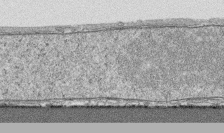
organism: Human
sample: CRL-1474